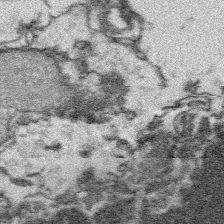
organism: Platynereis dumerilii